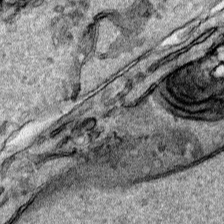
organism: Human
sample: Mitochondria in HCT116 cells